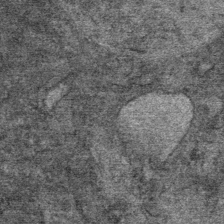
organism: Mouse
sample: Mouse Salivary gland